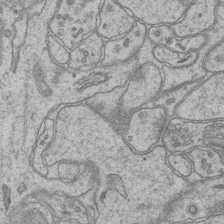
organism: Mouse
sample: CA1 Hippocampus